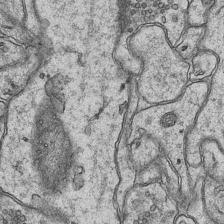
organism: Mouse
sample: CA1 Hippocampus